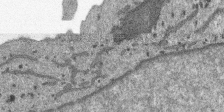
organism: Human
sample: Lung epithelial cells infected with SARS-CoV-2